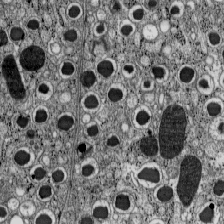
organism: C57BL Mouse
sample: Pancreatic islet